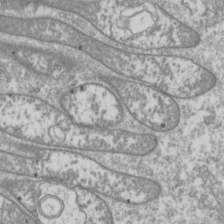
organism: Drosophila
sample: Cell division; meiosis; drosophila spermatocytes